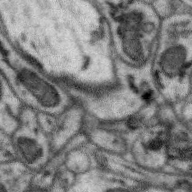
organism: Zebra finch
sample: Brain